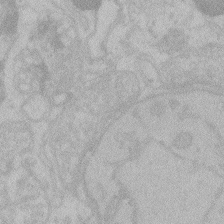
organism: Zebrafish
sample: Macrophage infected with Toxoplasma gondii